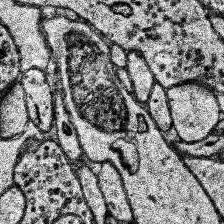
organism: Human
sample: Temporal Lobe